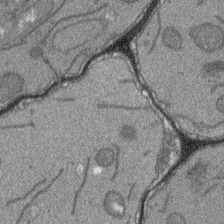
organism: Arabidopsis thaliana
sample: Root tip